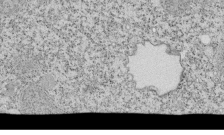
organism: Tetrahymena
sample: Cilia in tetrahymena